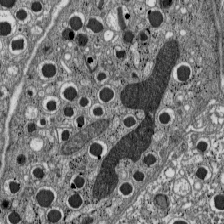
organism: C57BL Mouse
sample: Pancreatic islet